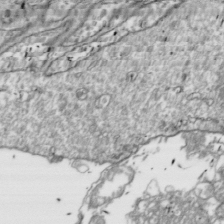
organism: Drosophila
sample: Cell division; meiosis; drosophila spermatocytes